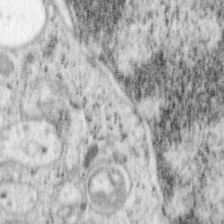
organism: Mouse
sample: OT-I killer T cells with ID8 ovarian cancer cells